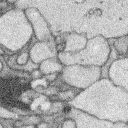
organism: Rabbit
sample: Retina